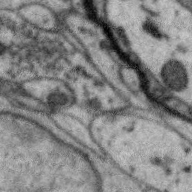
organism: Zebra finch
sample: Brain